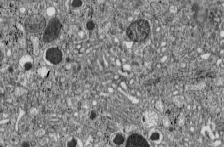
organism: C57BL Mouse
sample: Pancreatic islet